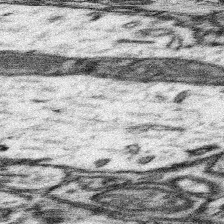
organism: Mouse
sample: Somatosensory cortex neuropil